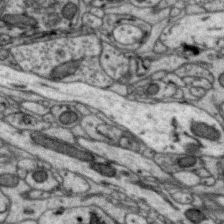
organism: Zebra finch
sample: Brain